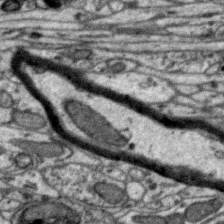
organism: Zebra finch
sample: Brain